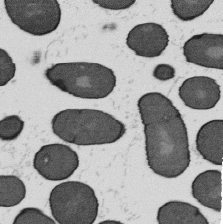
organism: B. subtilis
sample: Bacterial spore